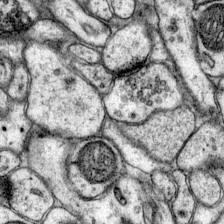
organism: Mouse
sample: Primary visual cortex